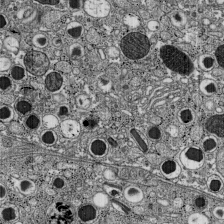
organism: C57BL Mouse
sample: Pancreatic islet